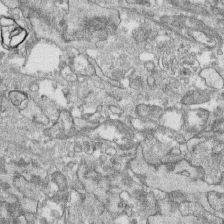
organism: Human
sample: CRL-1474